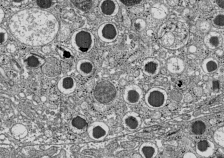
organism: C57BL Mouse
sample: Pancreatic islet